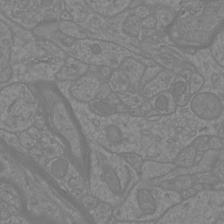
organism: Mouse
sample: Cortical neurons